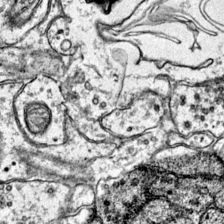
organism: Mouse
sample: Primary visual cortex